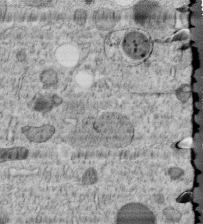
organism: C. elegans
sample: C. elegans embryo early stage